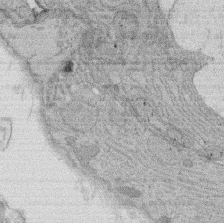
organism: Rat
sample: Salivary granule